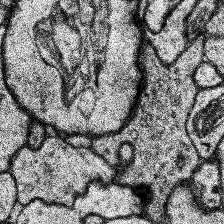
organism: Human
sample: Temporal Lobe